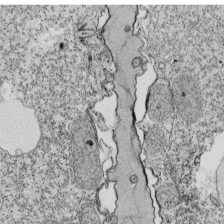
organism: Tetrahymena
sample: Cilia in tetrahymena